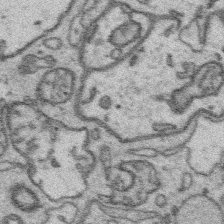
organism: Platynereis dumerilii